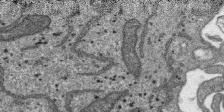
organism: Human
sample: Lung epithelial cells infected with SARS-CoV-2